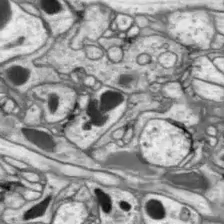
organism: Drosophila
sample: Optic lobe